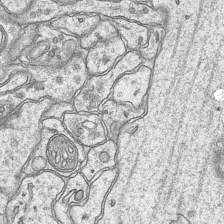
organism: Mouse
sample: CA1 Hippocampus